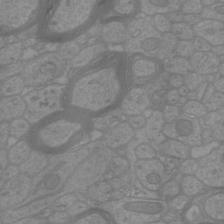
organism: Mouse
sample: Cortical neurons